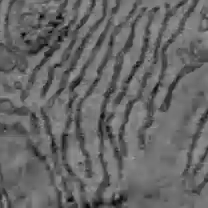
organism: C57BL Mouse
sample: Liver